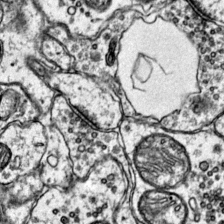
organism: Mouse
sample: Primary visual cortex